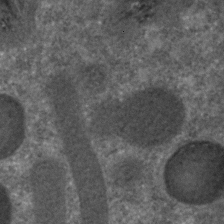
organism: C. elegans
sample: C. elegans embryo